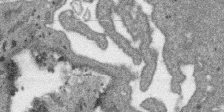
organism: Human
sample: Lung epithelial cells infected with SARS-CoV-2